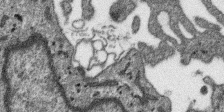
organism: Human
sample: Lung epithelial cells infected with SARS-CoV-2